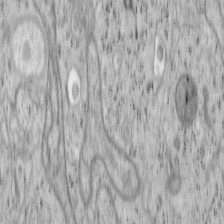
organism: Human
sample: HeLa cells